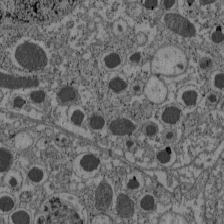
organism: C57BL Mouse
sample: Pancreatic islet